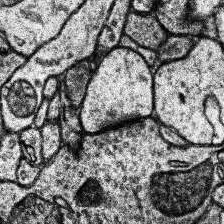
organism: Human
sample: Temporal Lobe